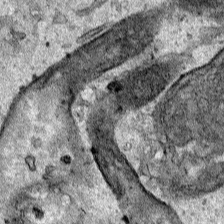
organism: Human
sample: Mitochondria in HCT116 cells